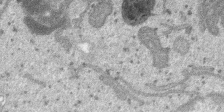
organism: Human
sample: Lung epithelial cells infected with SARS-CoV-2